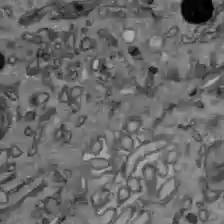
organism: C57BL Mouse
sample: Liver